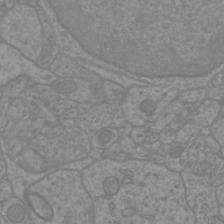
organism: Mouse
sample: Cortical neurons